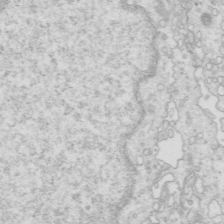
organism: Mouse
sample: Multiciliated cells